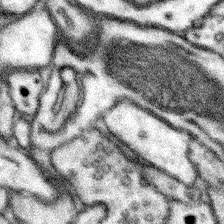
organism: Mouse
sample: Somatosensory cortex neuropil